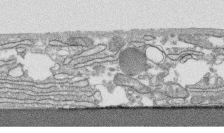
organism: Human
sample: CRL-1474